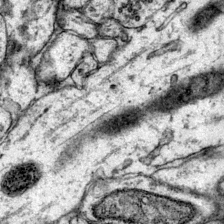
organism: Mouse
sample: Primary visual cortex